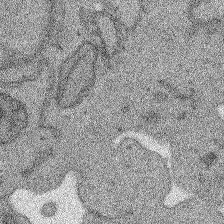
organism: Human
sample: HeLa cells